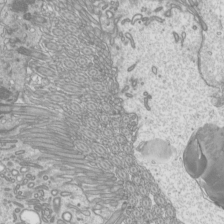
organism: Mouse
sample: Cilia; mouse epididymis